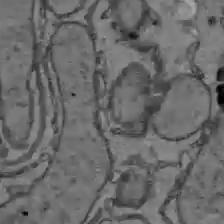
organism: C57BL Mouse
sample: Liver